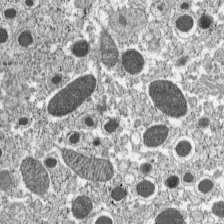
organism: C57BL Mouse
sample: Pancreatic islet